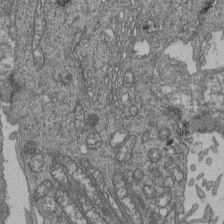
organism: Human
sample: Retinal organoid Rod and Cone cells